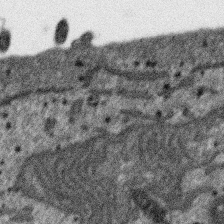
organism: Human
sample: Lung epithelial cells infected with SARS-CoV-2